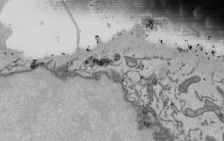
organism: Mouse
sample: ED-1 cell nuclei; centrioles